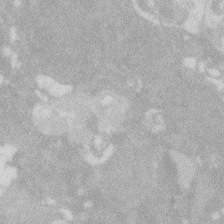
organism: Zebrafish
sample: Macrophage